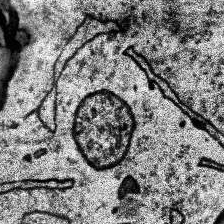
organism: Human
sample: Temporal Lobe